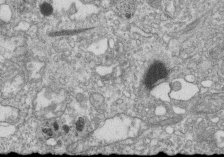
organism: Human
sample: HeLa cell HIV synapse